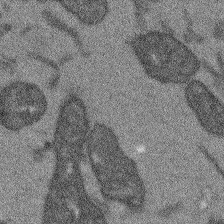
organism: Arabidopsis thaliana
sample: Root tip